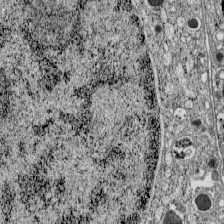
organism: C57BL Mouse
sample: Pancreatic islet